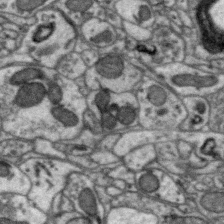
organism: Zebra finch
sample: Brain